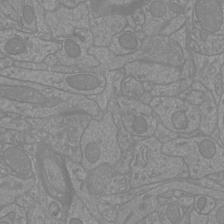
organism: Mouse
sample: Cortical neurons